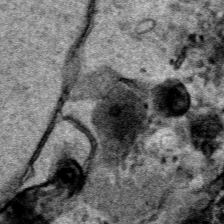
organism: Human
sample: Mitochondria in HCT116 cells